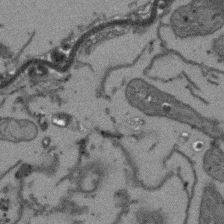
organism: Arabidopsis thaliana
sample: Root tip